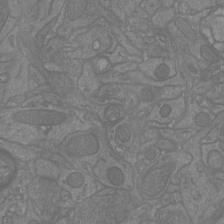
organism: Mouse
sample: Cortical neurons